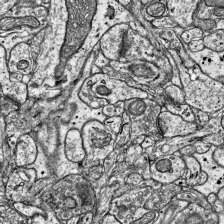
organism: Mouse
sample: Visual Cortex